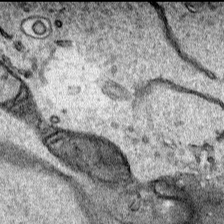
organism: Human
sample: Mitochondria in HCT116 cells